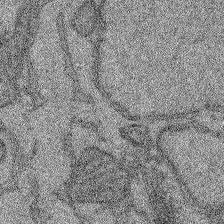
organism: Human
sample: HeLa cells